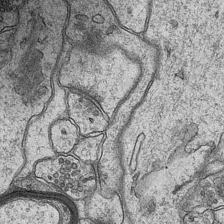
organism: Mouse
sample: CA1 Hippocampus